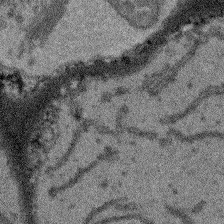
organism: Arabidopsis thaliana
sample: Root tip